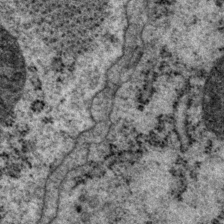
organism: P. pacificus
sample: Pharynx